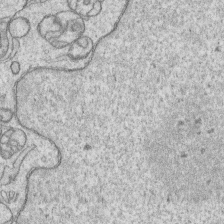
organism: Human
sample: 1205lu cells